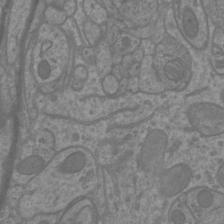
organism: Mouse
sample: Cortical neurons